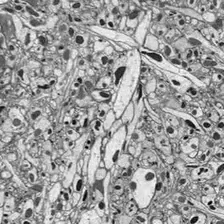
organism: Drosophila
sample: Optic lobe